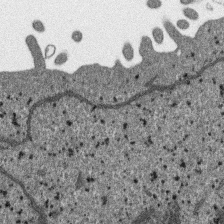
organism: Human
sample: Lung epithelial cells infected with SARS-CoV-2